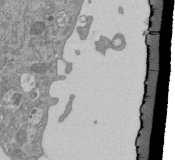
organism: Mouse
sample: ED-1 cell nuclei; centrioles